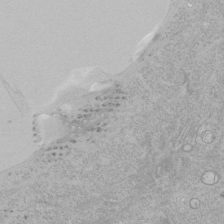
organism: Human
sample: Mitochondria in HCT116 cells